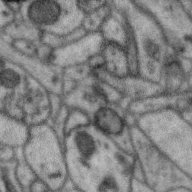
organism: Zebra finch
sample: Brain